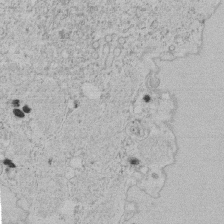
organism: Tetrahymena